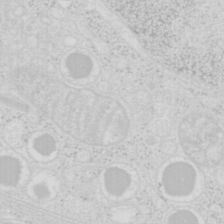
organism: Mouse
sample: Pancreas